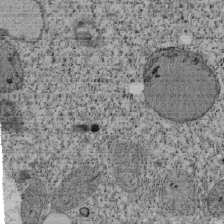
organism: Tetrahymena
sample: Cilia in tetrahymena